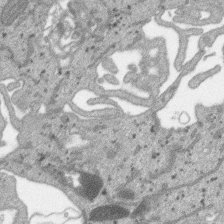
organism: Human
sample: Lung epithelial cells infected with SARS-CoV-2